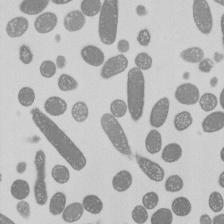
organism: E. coli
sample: Bacterial nucleoid